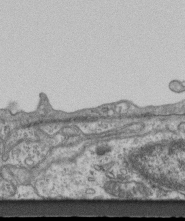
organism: Mouse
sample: Centriole in ependymal cells